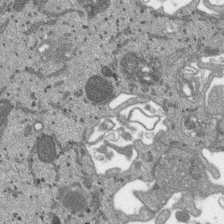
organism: Human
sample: Lung epithelial cells infected with SARS-CoV-2